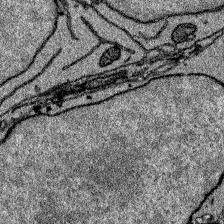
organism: Zebrafish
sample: Larval olfactory bulb